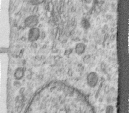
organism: Human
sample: Centriole in RPE cells